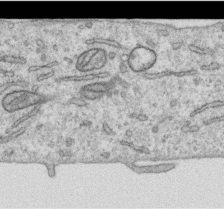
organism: Human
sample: Centriole in RPE cells